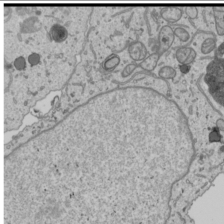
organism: Human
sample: Mitochondria in U2OS cells